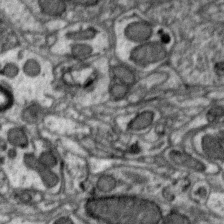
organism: Zebra finch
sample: Brain